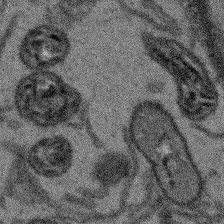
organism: Arabidopsis thaliana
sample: Root tip